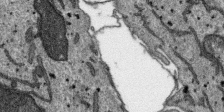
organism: Human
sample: Lung epithelial cells, uninfected (mock) control